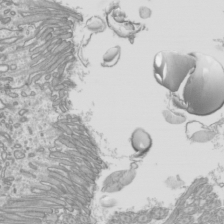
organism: Mouse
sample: Cilia; mouse epididymis